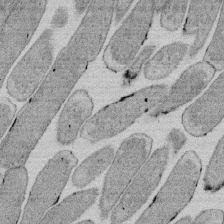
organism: E. coli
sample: Bacterial nucleoid